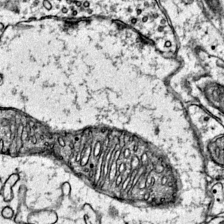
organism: Mouse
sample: Primary visual cortex